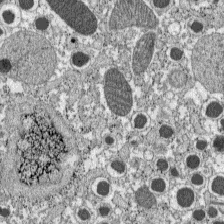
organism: C57BL Mouse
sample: Pancreatic islet